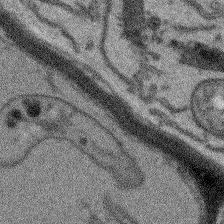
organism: Arabidopsis thaliana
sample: Root tip